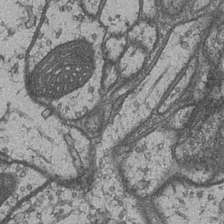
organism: Drosophila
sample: Optic medulla